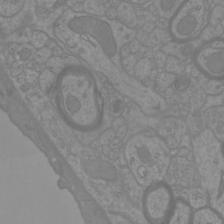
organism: Mouse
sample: Cortical neurons